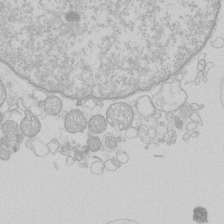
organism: Human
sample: Macrophage cells